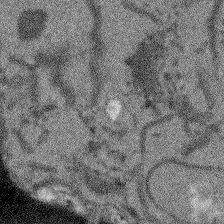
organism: Arabidopsis thaliana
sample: Root tip